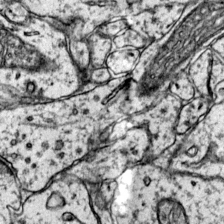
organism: Mouse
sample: Primary visual cortex